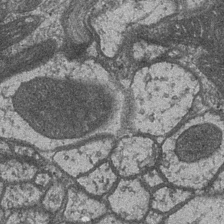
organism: Drosophila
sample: Optic medulla